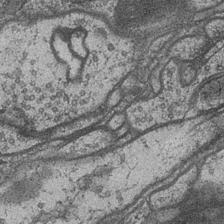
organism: Drosophila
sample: Optic medulla